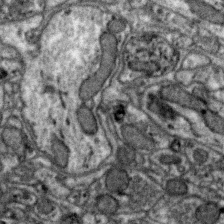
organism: Zebra finch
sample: Brain